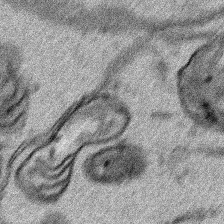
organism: Human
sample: Mitochondria in HCT116 cells